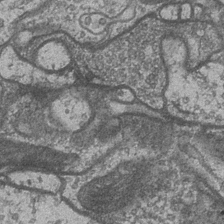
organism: Drosophila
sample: Optic medulla